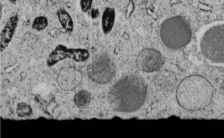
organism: C. elegans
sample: C. elegans embryo early stage